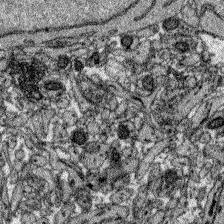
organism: Zebrafish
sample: Larval olfactory bulb